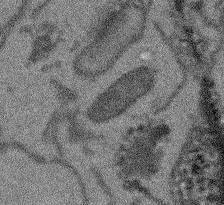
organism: Arabidopsis thaliana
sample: Root tip